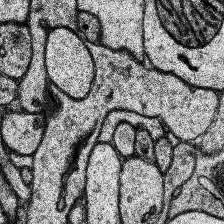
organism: Human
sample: Temporal Lobe